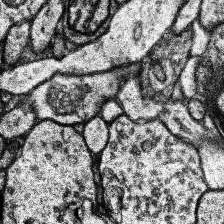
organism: Human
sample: Temporal Lobe